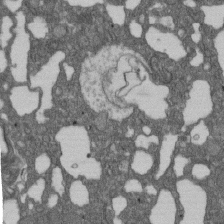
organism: Drosophila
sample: Nephrocyte